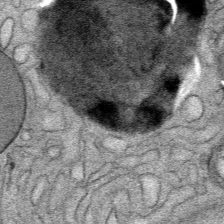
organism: Mouse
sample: Mouse Salivary gland